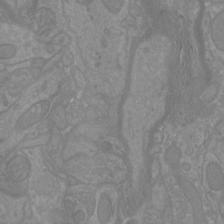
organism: Mouse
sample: Cortical neurons